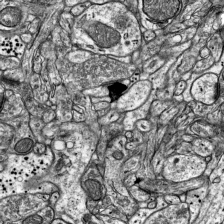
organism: Mouse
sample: Visual Cortex